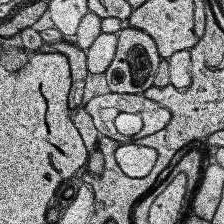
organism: Human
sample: Temporal Lobe